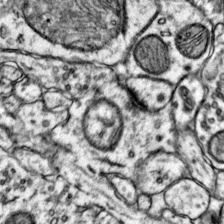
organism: Mouse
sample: Primary visual cortex